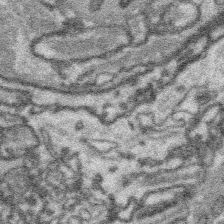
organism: Platynereis dumerilii